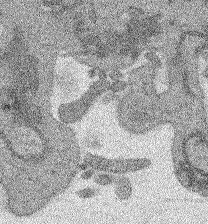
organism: Human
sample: HeLa cells